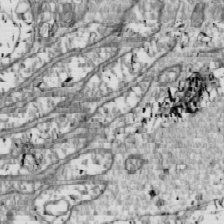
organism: Drosophila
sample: Cell division; meiosis; drosophila spermatocytes